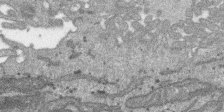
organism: Human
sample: Lung epithelial cells infected with SARS-CoV-2